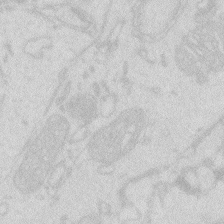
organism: Zebrafish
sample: Macrophage